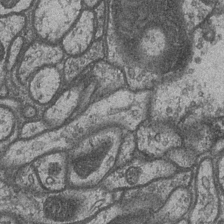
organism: Drosophila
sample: Optic medulla